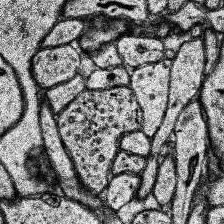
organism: Human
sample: Temporal Lobe